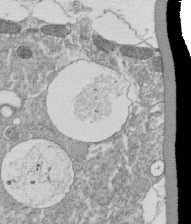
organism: Tetrahymena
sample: Cilia in tetrahymena